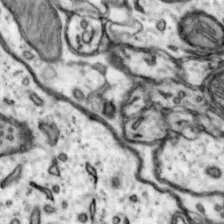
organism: Mouse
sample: Nucleus accumbens